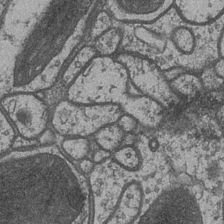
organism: Drosophila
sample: Optic medulla